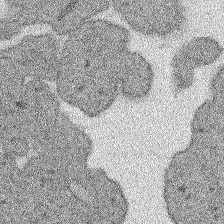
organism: Human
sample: HeLa cells